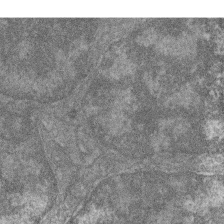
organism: Zebrafish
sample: Cilia; retinal pigment epithelium